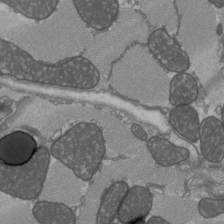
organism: C57BL Mouse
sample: Heart